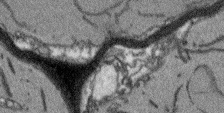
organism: Arabidopsis thaliana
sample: Root tip